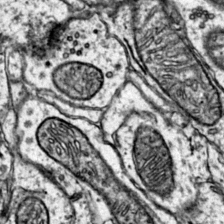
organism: Mouse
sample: Primary visual cortex